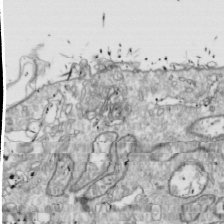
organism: Drosophila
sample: Cell division; meiosis; drosophila spermatocytes